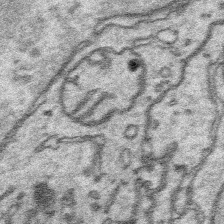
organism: Platynereis dumerilii